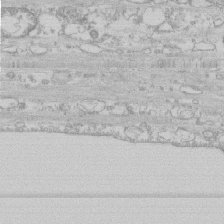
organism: Human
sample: CRL-1474